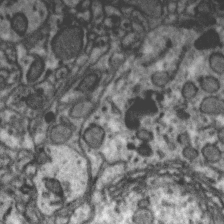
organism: Zebra finch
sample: Brain